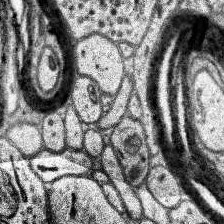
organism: Human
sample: Temporal Lobe